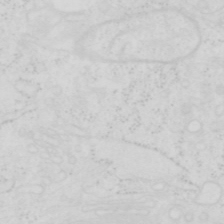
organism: Human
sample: SUM-159 cell